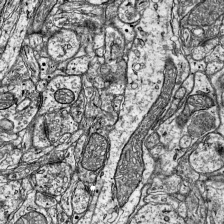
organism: Mouse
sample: Visual Cortex